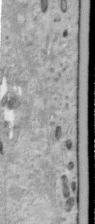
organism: Human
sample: Centriole in RPE cells